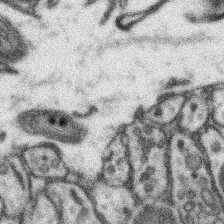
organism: Mouse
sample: Somatosensory cortex neuropil